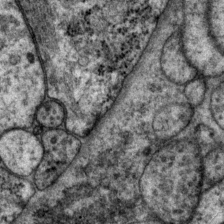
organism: P. pacificus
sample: Pharynx